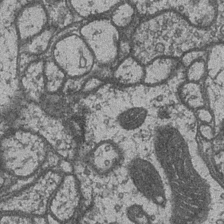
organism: Drosophila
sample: Optic medulla